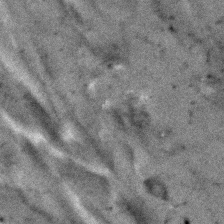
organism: Human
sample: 1205lu cells